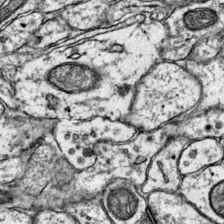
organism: Mouse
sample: Primary visual cortex